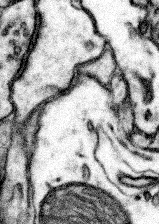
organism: Mouse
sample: Somatosensory cortex neuropil